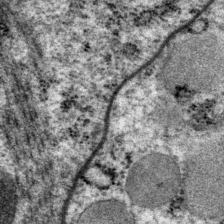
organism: P. pacificus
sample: Pharynx